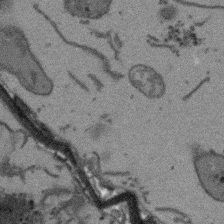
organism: Arabidopsis thaliana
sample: Root tip